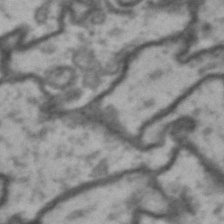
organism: Drosophila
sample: Brain